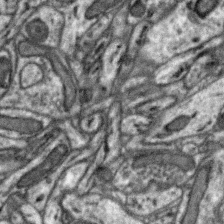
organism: Zebra finch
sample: Brain